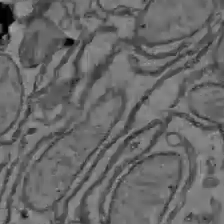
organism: C57BL Mouse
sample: Liver